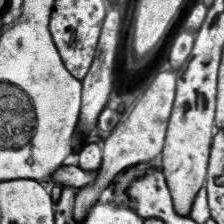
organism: Human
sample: Temporal Lobe